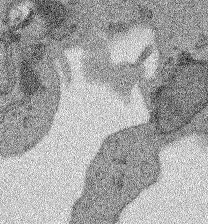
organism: Human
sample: HeLa cells